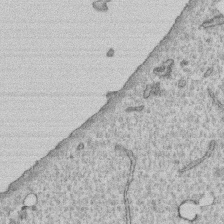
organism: Human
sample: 1205lu cells